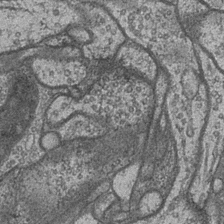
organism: Drosophila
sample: Optic medulla